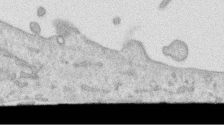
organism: Human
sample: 1205lu cells